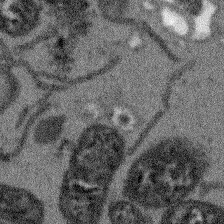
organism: Arabidopsis thaliana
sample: Root tip